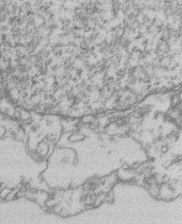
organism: Mouse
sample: T cell stromal cell synapse